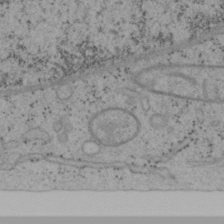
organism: Human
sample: HeLa cells